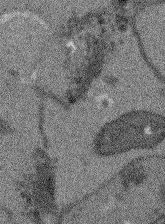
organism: Arabidopsis thaliana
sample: Root tip